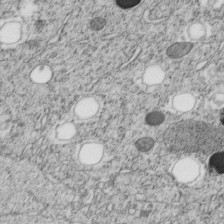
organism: C. elegans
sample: C. elegans embryo early stage